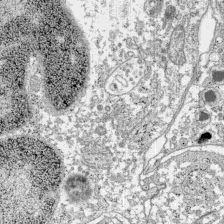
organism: C57BL Mouse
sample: Pancreatic islet